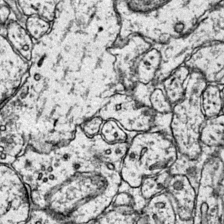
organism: Mouse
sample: Primary visual cortex